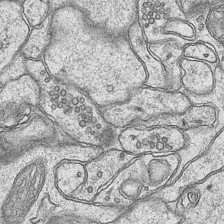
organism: Mouse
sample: CA1 Hippocampus